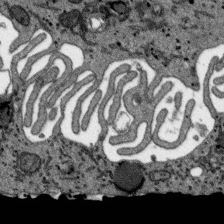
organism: Human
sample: Lung epithelial cells, uninfected (mock) control